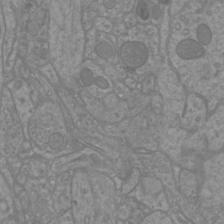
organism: Mouse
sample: Cortical neurons